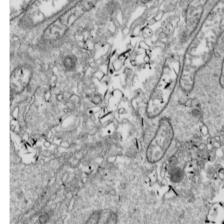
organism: Drosophila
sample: Cell division; meiosis; drosophila spermatocytes